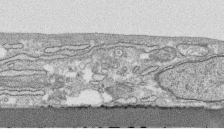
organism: Human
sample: CRL-1474